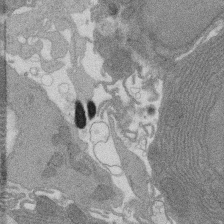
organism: Rat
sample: Salivary granule